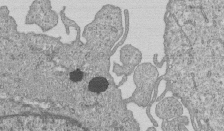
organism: Human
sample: MDA-MB-231 cells